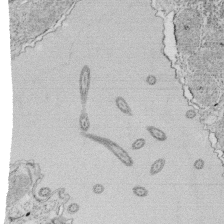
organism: Tetrahymena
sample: Cilia in tetrahymena